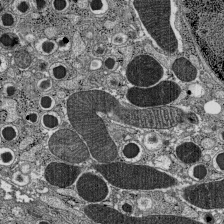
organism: C57BL Mouse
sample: Pancreatic islet